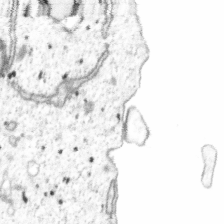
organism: Human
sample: HeLa cells